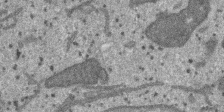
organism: Human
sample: Lung epithelial cells infected with SARS-CoV-2